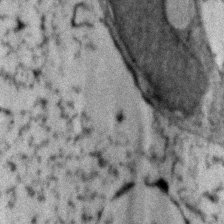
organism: Zebrafish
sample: Zebrafish embryo